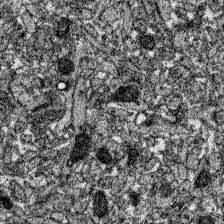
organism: Zebrafish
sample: Larval olfactory bulb